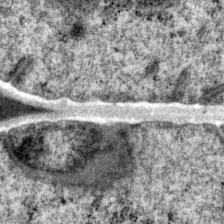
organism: P. pacificus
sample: Pharynx